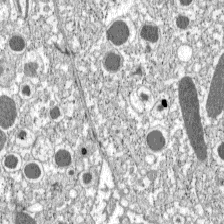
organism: C57BL Mouse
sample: Pancreatic islet